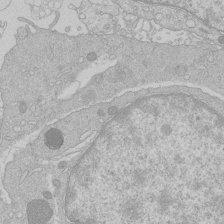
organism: Human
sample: Macrophage cells